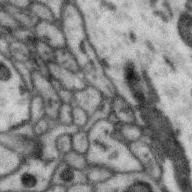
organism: Zebra finch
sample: Brain